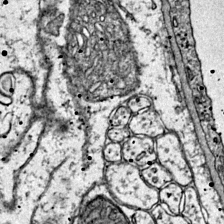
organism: Mouse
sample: Primary visual cortex